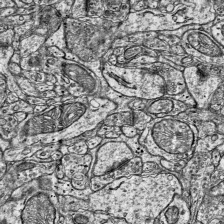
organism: Mouse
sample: Visual Cortex